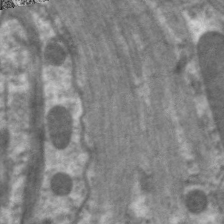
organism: C. elegans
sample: Pharynx